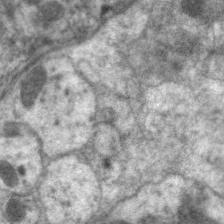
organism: C. elegans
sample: Pharynx